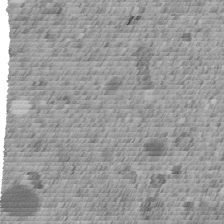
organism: C. elegans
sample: C. elegans embryo early stage